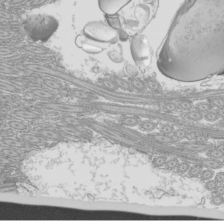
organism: Mouse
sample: Cilia; mouse epididymis